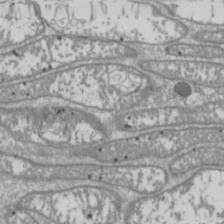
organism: Drosophila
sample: Cell division; meiosis; drosophila spermatocytes